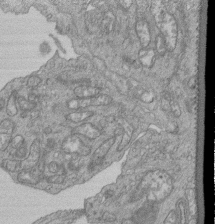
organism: Human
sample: Retinal organoid Rod and Cone cells